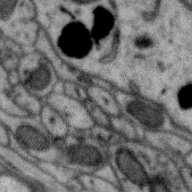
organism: Zebra finch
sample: Brain